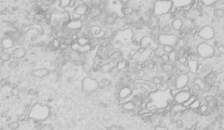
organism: Mouse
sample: Multiciliated cells